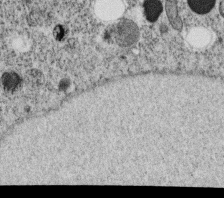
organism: C. elegans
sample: C. elegans oocyte; sperm cells